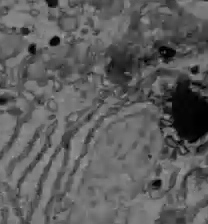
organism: C57BL Mouse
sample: Liver